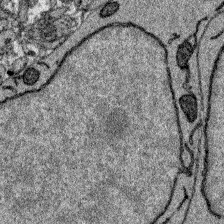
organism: Zebrafish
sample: Larval olfactory bulb